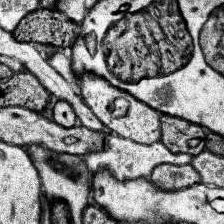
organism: Human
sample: Temporal Lobe